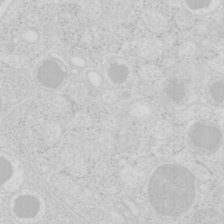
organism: Mouse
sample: Pancreas